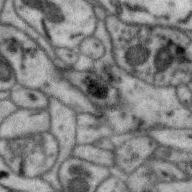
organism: Zebra finch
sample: Brain